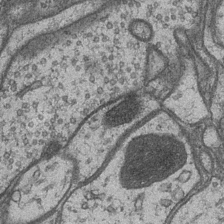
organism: Drosophila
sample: Optic medulla